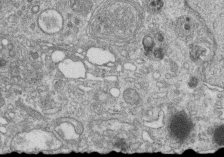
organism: Human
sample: HeLa cell HIV synapse